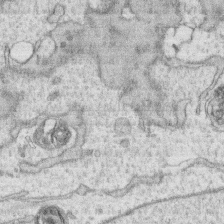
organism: Human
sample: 1205lu cells